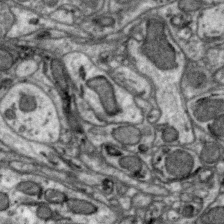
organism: Zebra finch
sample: Brain